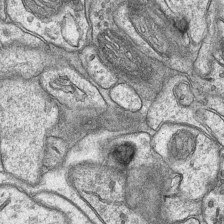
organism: Mouse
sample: CA1 Hippocampus